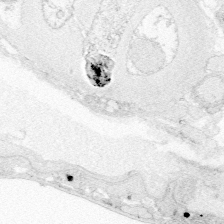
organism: Zebrafish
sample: Whole-Brain